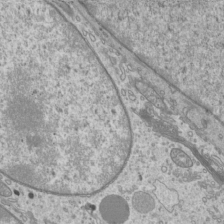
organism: Mouse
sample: Cilia; mouse epididymis